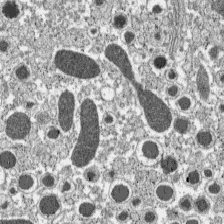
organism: C57BL Mouse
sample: Pancreatic islet